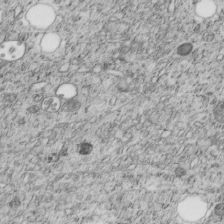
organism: C. elegans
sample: C. elegans embryo early stage